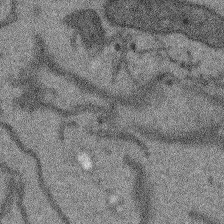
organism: Arabidopsis thaliana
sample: Root tip